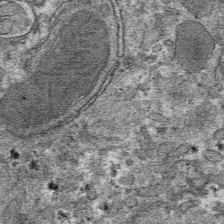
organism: Mouse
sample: Mouse hepatocytes